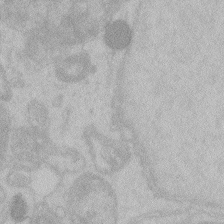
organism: Zebrafish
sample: Macrophage infected with Toxoplasma gondii